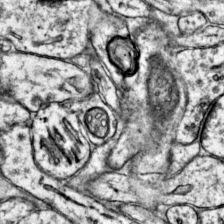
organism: Mouse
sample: Primary visual cortex